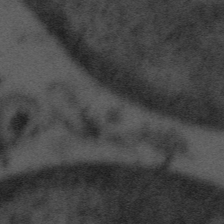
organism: Tuwongella immobilis